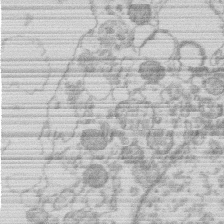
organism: Human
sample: Macrophage cells